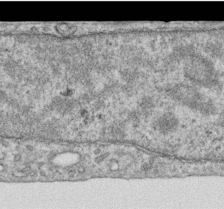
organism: Human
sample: Centriole in RPE cells